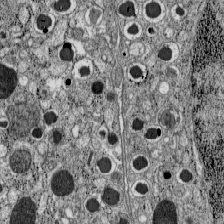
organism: C57BL Mouse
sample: Pancreatic islet